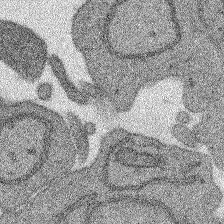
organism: Human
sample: HeLa cells